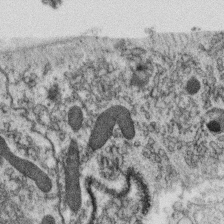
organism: C. elegans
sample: C. elegans oocyte; sperm cells